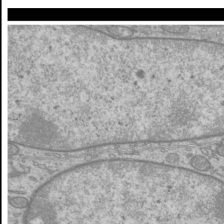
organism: Mouse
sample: Cilia; mouse epididymis